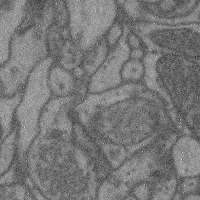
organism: Mouse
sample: Cerebral cortex